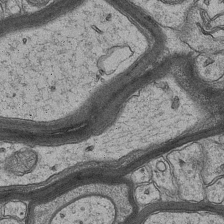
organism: Mouse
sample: CA1 Hippocampus